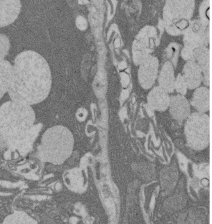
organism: Rat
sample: Salivary granule